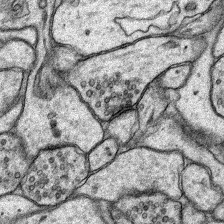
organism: Rat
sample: Hippocampus